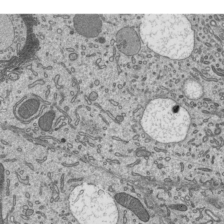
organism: Mouse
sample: Mouse epididymis efferent ductule cilia